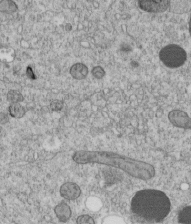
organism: C. elegans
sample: C. elegans embryo early stage